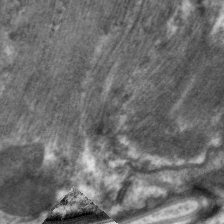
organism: C. elegans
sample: Pharynx